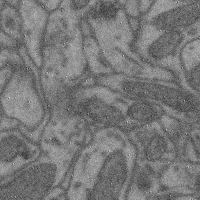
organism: Mouse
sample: Cerebral cortex